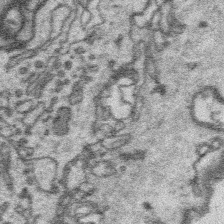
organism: Platynereis dumerilii